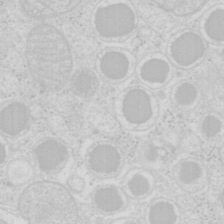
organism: Mouse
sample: Pancreas